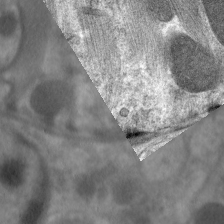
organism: C. elegans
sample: Pharynx